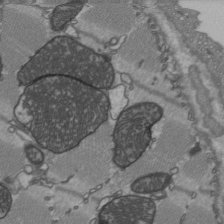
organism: C57BL Mouse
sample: Heart